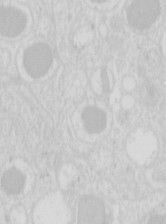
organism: Mouse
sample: Pancreas